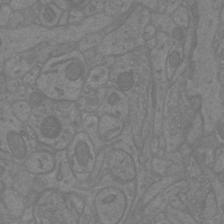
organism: Mouse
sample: Cortical neurons